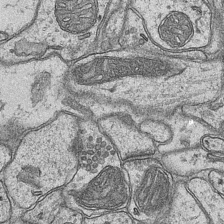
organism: Mouse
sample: CA1 Hippocampus